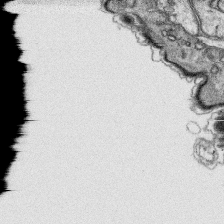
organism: Platynereis dumerilii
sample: Parapodia